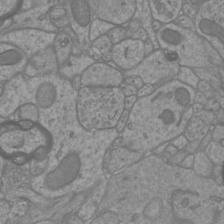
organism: Mouse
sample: Cortical neurons